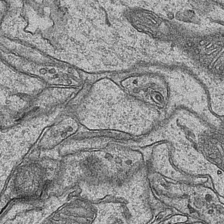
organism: Mouse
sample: CA1 Hippocampus